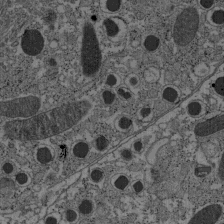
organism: C57BL Mouse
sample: Pancreatic islet